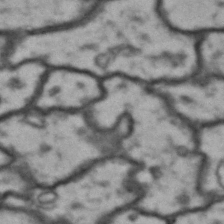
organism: Drosophila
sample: Brain